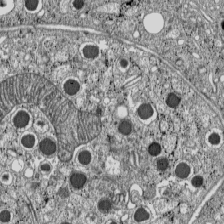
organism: C57BL Mouse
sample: Pancreatic islet